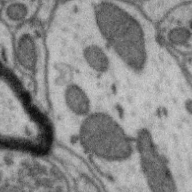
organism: Zebra finch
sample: Brain